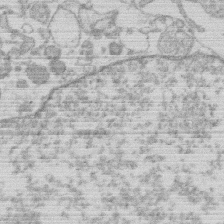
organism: Human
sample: Macrophage cells